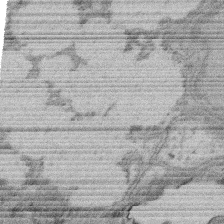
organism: Rat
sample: Salivary granule